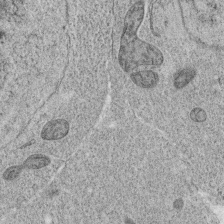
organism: C. elegans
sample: C. elegans oocyte; sperm cells